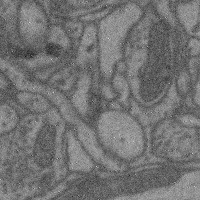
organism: Mouse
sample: Cerebral cortex